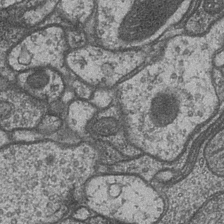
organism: Drosophila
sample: Optic medulla